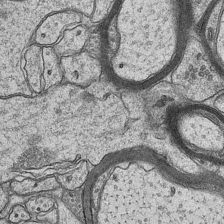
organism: Mouse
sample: CA1 Hippocampus